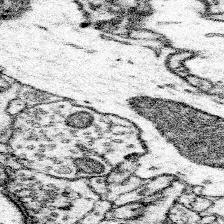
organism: Mouse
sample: Somatosensory cortex neuropil